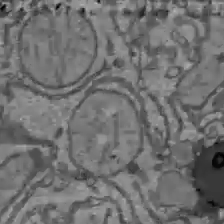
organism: C57BL Mouse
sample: Liver